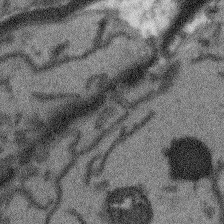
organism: Arabidopsis thaliana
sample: Root tip